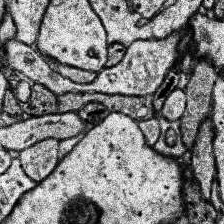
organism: Human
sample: Temporal Lobe